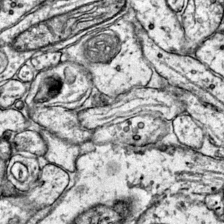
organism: Mouse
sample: Primary visual cortex